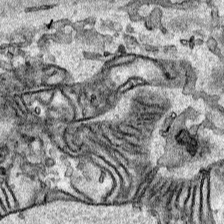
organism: Human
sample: Mitochondria in HCT116 cells